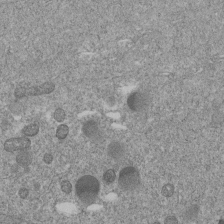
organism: C. elegans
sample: C. elegans embryo early stage